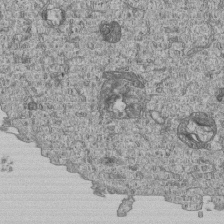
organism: Human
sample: MDA-MB-231 cells